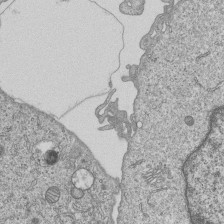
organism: Human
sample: MDA-MB-231 cells